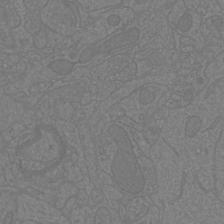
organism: Mouse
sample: Cortical neurons